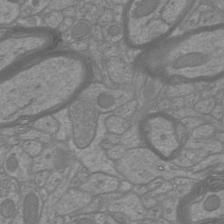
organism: Mouse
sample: Cortical neurons